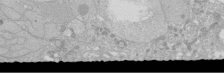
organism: Human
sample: Caco-2 cells